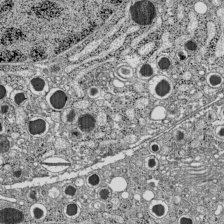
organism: C57BL Mouse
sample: Pancreatic islet